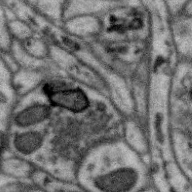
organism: Zebra finch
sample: Brain